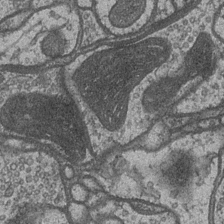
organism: Drosophila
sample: Optic medulla